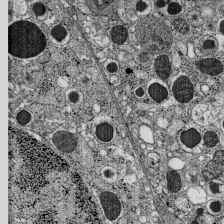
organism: C57BL Mouse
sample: Pancreatic islet